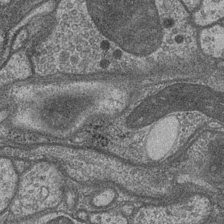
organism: Drosophila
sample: Optic medulla